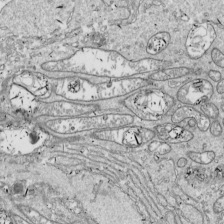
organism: Drosophila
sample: Cell division; meiosis; drosophila spermatocytes